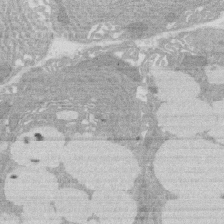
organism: Rat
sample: Salivary granule